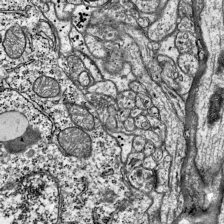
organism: Mouse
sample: Visual Cortex